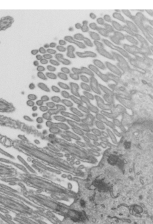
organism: Mouse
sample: Mouse epididymis efferent ductule cilia